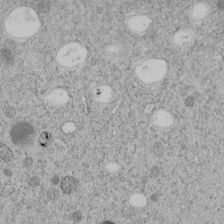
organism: C. elegans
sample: C. elegans embryo early stage